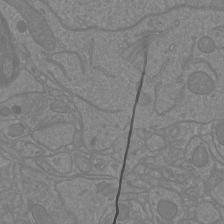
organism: Mouse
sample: Cortical neurons